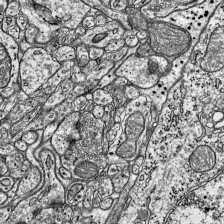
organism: Mouse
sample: Visual Cortex